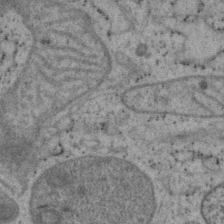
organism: Human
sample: HeLa cells